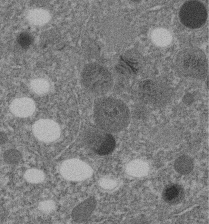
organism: C. elegans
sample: C. elegans embryo early stage